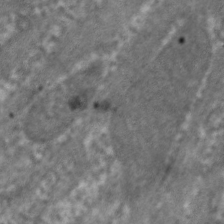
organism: C. elegans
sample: Pharynx